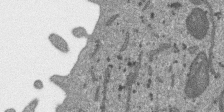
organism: Human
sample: Lung epithelial cells infected with SARS-CoV-2